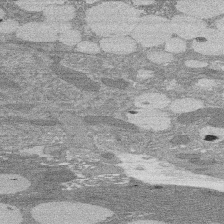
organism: Rat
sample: Salivary granule